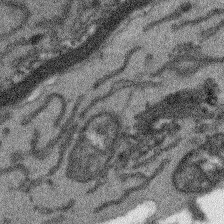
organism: Arabidopsis thaliana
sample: Root tip